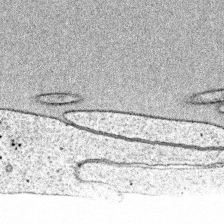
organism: Human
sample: HeLa cells